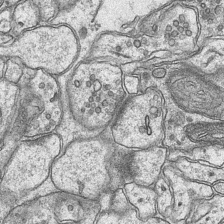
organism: Mouse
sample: CA1 Hippocampus